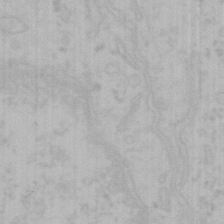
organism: Mouse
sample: Choroid plexus